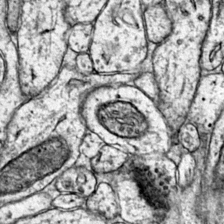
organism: Mouse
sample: Primary visual cortex